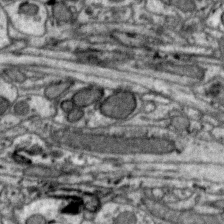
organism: Zebra finch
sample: Brain